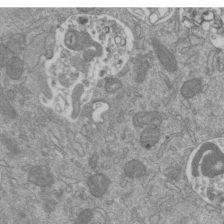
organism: Mouse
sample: ED-1 cell nuclei; centrioles